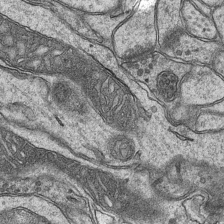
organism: Mouse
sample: CA1 Hippocampus